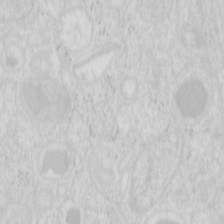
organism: Mouse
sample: Pancreas